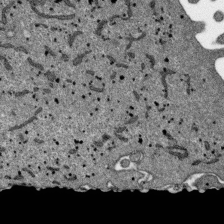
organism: Human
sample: Lung epithelial cells, uninfected (mock) control